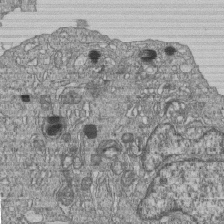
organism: Human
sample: MDA-MB-231 cells